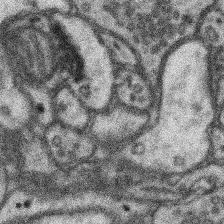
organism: Mouse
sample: Somatosensory cortex neuropil